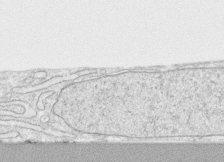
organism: Human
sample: CRL-1474